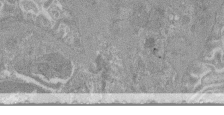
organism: Mouse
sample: Glomerulus